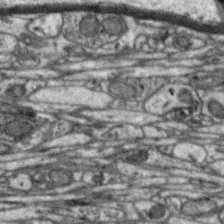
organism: Zebra finch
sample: Brain